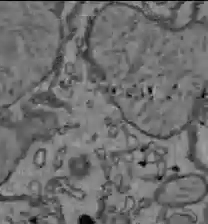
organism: C57BL Mouse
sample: Liver